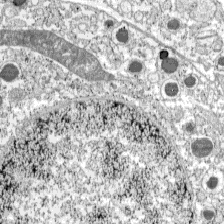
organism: C57BL Mouse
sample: Pancreatic islet